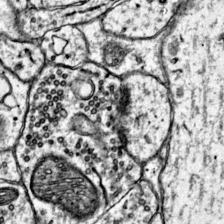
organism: Mouse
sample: Primary visual cortex